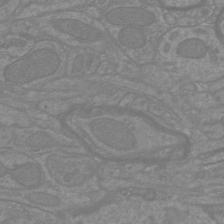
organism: Mouse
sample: Cortical neurons